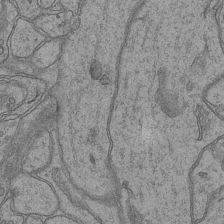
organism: Mouse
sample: CA1 Hippocampus